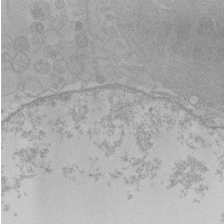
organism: Human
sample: Macrophage cells